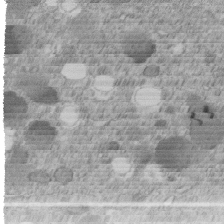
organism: C. elegans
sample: C. elegans embryo early stage